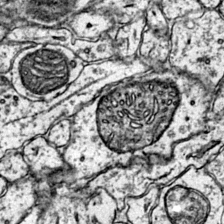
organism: Mouse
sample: Primary visual cortex